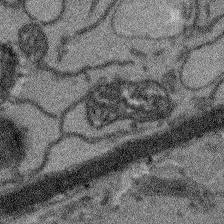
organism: Arabidopsis thaliana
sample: Root tip